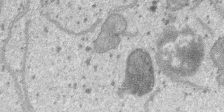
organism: Human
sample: Lung epithelial cells infected with SARS-CoV-2